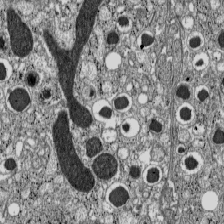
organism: C57BL Mouse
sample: Pancreatic islet